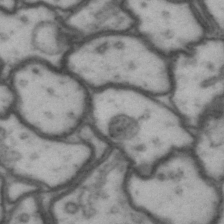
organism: Drosophila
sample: Brain